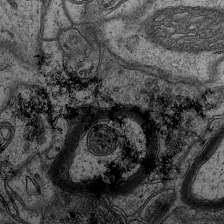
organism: Mouse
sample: CA1 Hippocampus